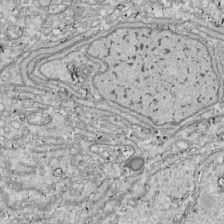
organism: Drosophila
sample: Cell division; meiosis; drosophila spermatocytes